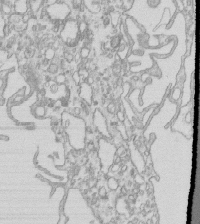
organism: Mouse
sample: Macrophages